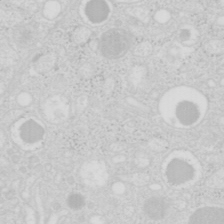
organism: Mouse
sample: Pancreas